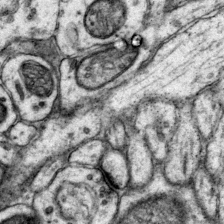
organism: Mouse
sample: Primary visual cortex